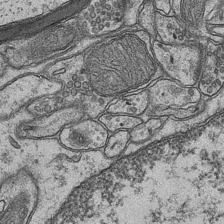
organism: Mouse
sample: CA1 Hippocampus